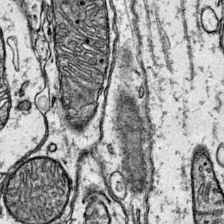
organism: Mouse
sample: Primary visual cortex